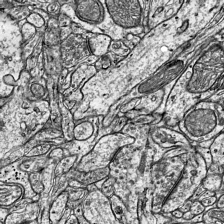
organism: Mouse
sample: Visual Cortex